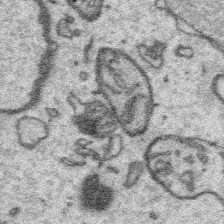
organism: Platynereis dumerilii